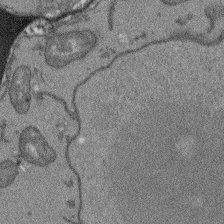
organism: Arabidopsis thaliana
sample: Root tip